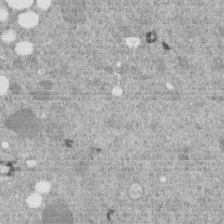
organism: C. elegans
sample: C. elegans embryo early stage